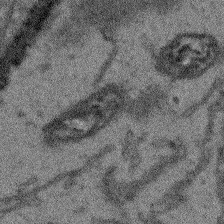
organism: Arabidopsis thaliana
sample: Root tip